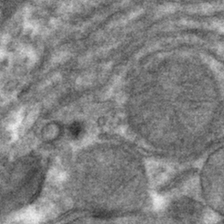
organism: Mouse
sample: Mouse hepatocytes